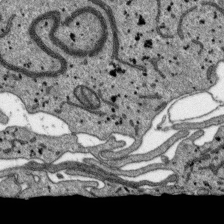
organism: Human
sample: Lung epithelial cells, uninfected (mock) control